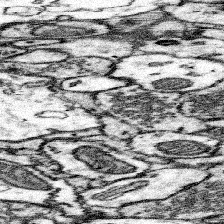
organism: Mouse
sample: Somatosensory cortex neuropil